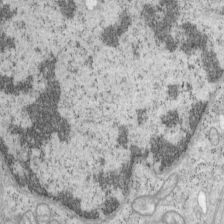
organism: Mouse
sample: OT-I killer T cells with ID8 ovarian cancer cells